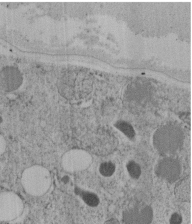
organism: C. elegans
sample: C. elegans embryo early stage